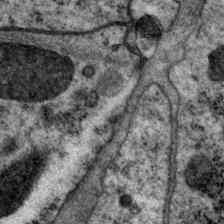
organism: P. pacificus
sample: Pharynx